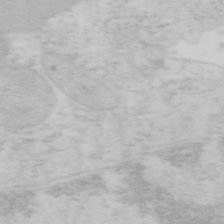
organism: Mouse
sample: OT-I killer T cells with ID8 ovarian cancer cells